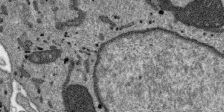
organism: Human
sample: Lung epithelial cells, uninfected (mock) control